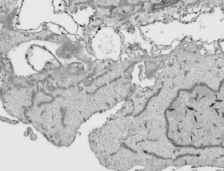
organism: Human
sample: Mitochondria in HCT116 cells